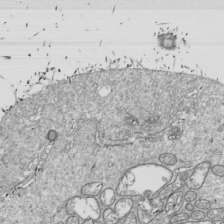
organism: Drosophila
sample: Cell division; meiosis; drosophila spermatocytes